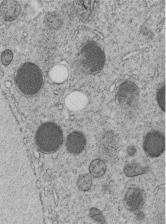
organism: C. elegans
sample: C. elegans embryo early stage